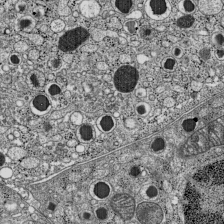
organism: C57BL Mouse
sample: Pancreatic islet